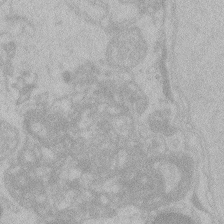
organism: Zebrafish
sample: Macrophage infected with Toxoplasma gondii